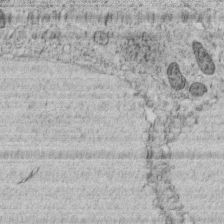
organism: C. elegans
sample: C. elegans embryo early stage